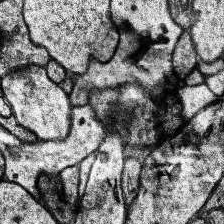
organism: Human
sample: Temporal Lobe